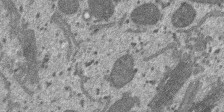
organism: Human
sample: Lung epithelial cells infected with SARS-CoV-2